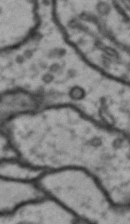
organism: Drosophila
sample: Brain